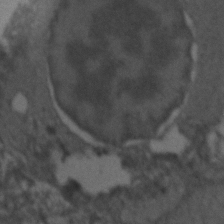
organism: Zebrafish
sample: Zebrafish embryo